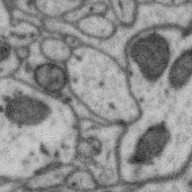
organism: Zebra finch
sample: Brain